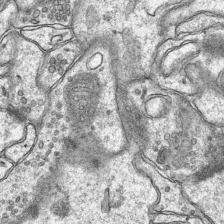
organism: Mouse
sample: CA1 Hippocampus